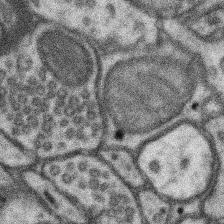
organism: Mouse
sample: Somatosensory cortex neuropil